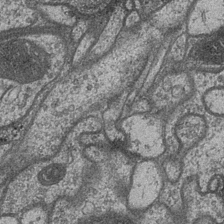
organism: Drosophila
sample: Optic medulla